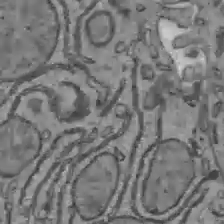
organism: C57BL Mouse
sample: Liver